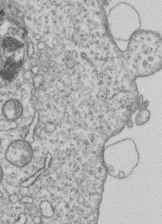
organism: Human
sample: MDA-MB-231 cells